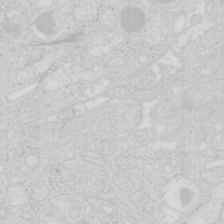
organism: Mouse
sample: Pancreas